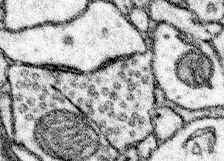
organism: Mouse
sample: Somatosensory cortex neuropil